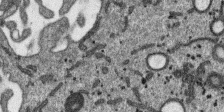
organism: Human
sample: Lung epithelial cells infected with SARS-CoV-2